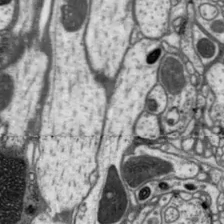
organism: Drosophila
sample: Protocerebral bridge